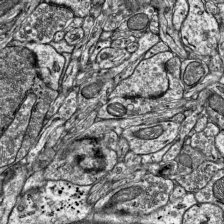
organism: Mouse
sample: Visual Cortex